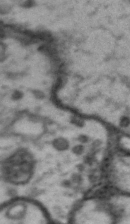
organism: Drosophila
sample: Brain